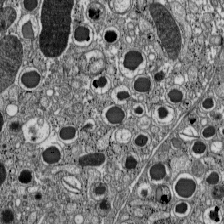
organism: C57BL Mouse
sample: Pancreatic islet